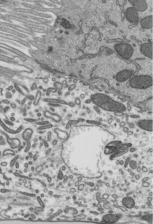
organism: Mouse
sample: Mouse epididymis efferent ductule cilia